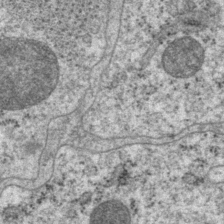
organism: P. pacificus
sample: Pharynx